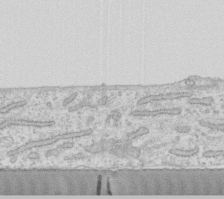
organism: Human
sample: Fibroblast cells